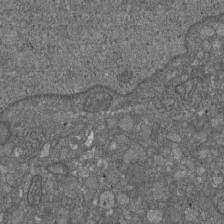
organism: Drosophila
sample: Nephrocyte